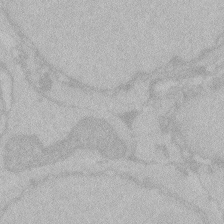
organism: Zebrafish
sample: Macrophage infected with Toxoplasma gondii